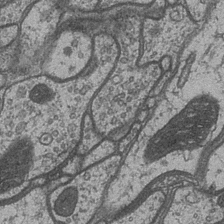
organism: Drosophila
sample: Optic medulla